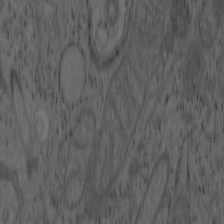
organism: Human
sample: HeLa cells